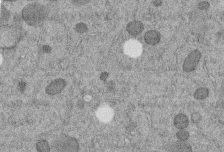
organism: C. elegans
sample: C. elegans embryo early stage